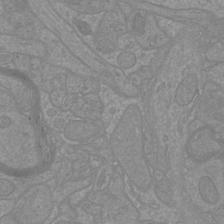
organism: Mouse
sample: Cortical neurons